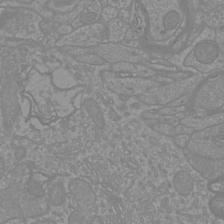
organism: Mouse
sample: Cortical neurons